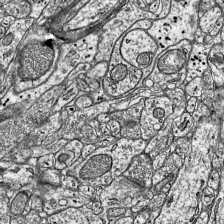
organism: Mouse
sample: Visual Cortex